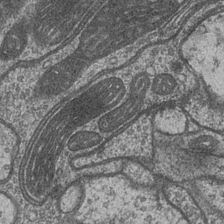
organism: Drosophila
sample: Optic medulla